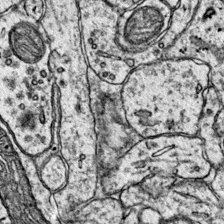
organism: Mouse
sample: Primary visual cortex